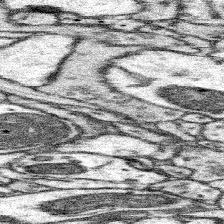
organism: Mouse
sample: Somatosensory cortex neuropil